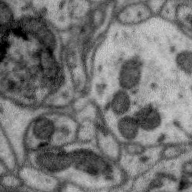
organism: Zebra finch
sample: Brain